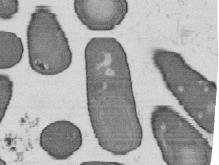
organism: B. subtilis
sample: Bacterial spore